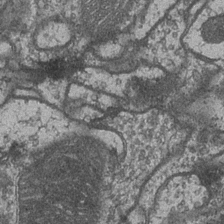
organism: Drosophila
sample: Optic medulla